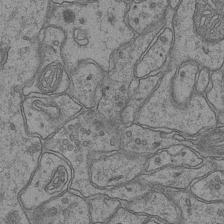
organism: Mouse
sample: CA1 Hippocampus